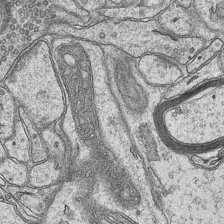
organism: Mouse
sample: CA1 Hippocampus